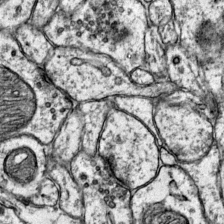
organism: Mouse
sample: Primary visual cortex